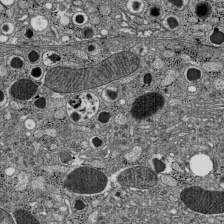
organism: C57BL Mouse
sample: Pancreatic islet